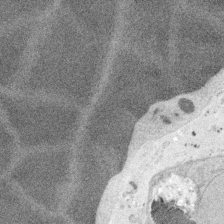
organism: Embia sp.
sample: Silk gland